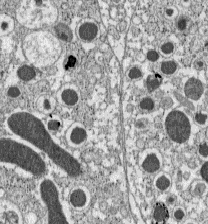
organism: C57BL Mouse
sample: Pancreatic islet